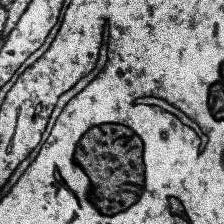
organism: Human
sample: Temporal Lobe